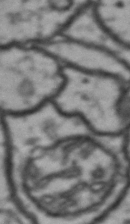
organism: Drosophila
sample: Brain